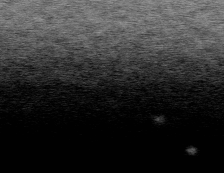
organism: Human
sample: HeLa cells